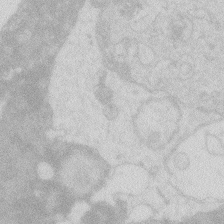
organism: Zebrafish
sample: Macrophage